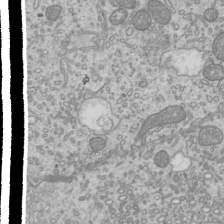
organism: Mouse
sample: Cilia; mouse epididymis